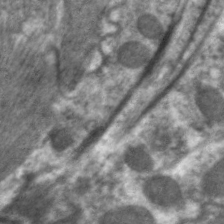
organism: C. elegans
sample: Pharynx